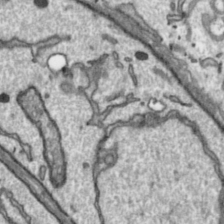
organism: Toxoplasma gondii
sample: Parasites in a vacuole inside a host cell